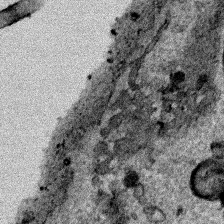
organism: Human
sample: Mitochondria in HCT116 cells